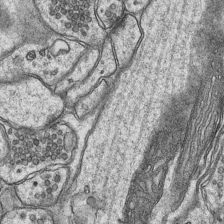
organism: Mouse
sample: CA1 Hippocampus